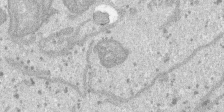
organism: Human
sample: Lung epithelial cells infected with SARS-CoV-2